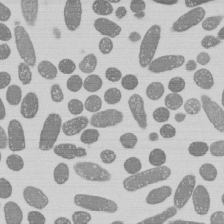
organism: E. coli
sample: Bacterial nucleoid